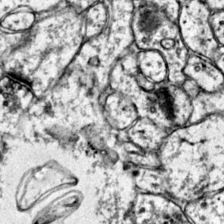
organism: Mouse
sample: Primary visual cortex